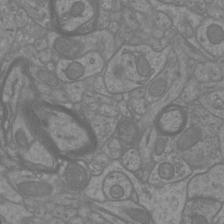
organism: Mouse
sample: Cortical neurons